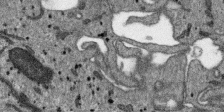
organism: Human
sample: Lung epithelial cells, uninfected (mock) control